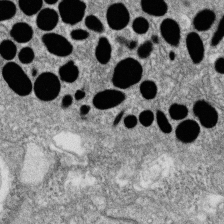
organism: Zebrafish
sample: Cilia; retinal pigment epithelium